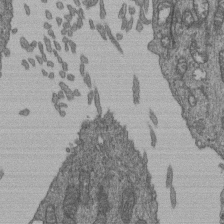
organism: Human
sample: Retinal organoid Rod and Cone cells